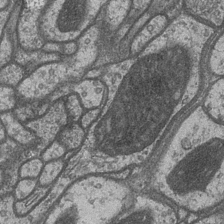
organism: Drosophila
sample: Optic medulla